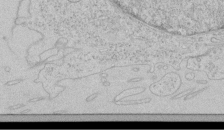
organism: Human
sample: Mitochondria in HCT116 cells